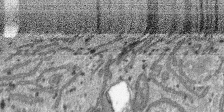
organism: Human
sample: Lung epithelial cells infected with SARS-CoV-2